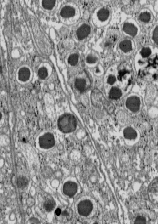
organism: C57BL Mouse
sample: Pancreatic islet